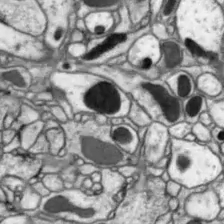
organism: Drosophila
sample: Optic lobe